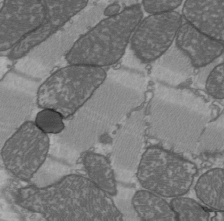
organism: C57BL Mouse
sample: Heart